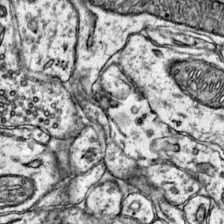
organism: Mouse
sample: Primary visual cortex